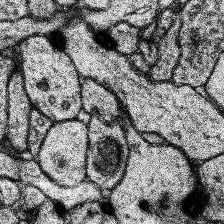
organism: Human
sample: Temporal Lobe